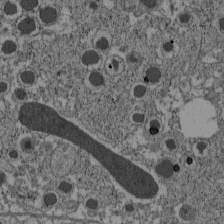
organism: C57BL Mouse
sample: Pancreatic islet